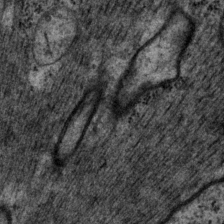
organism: P. pacificus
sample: Pharynx